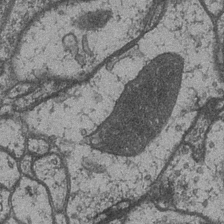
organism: Drosophila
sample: Optic medulla